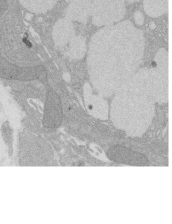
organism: Rat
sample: Salivary granule